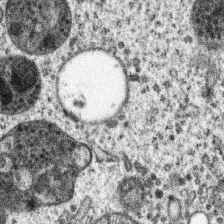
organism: Human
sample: HeLa cells